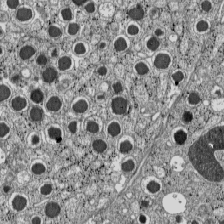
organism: C57BL Mouse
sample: Pancreatic islet